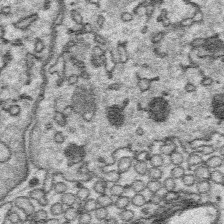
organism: Platynereis dumerilii